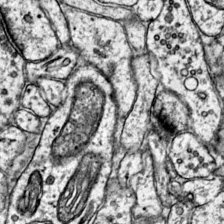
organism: Mouse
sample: Primary visual cortex